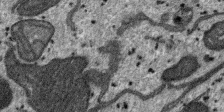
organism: Human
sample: Lung epithelial cells, uninfected (mock) control